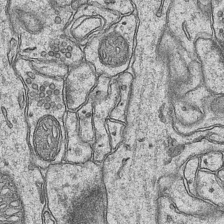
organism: Mouse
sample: CA1 Hippocampus